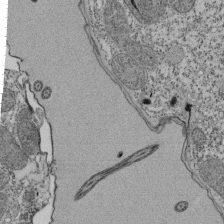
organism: Tetrahymena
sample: Cilia in tetrahymena